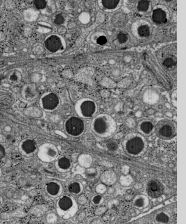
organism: C57BL Mouse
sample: Pancreatic islet